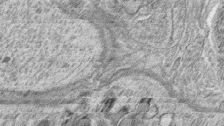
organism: Zebrafish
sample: synaptic ribbons in rod cells and cone cells